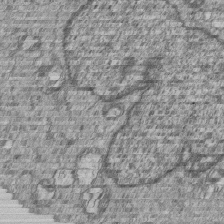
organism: Human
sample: MDA-MB-231 cells